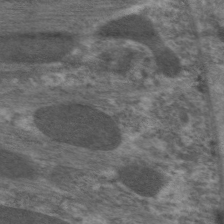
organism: C. elegans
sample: Pharynx